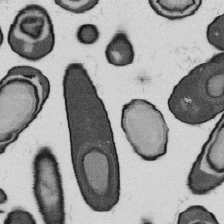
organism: B. subtilis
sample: Bacterial spore